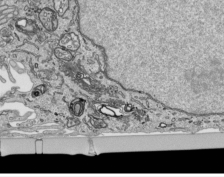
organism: Human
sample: Mitochondria in HCT116 cells